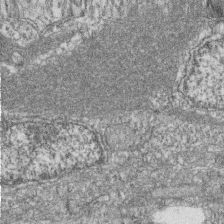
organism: Zebrafish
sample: Cilia; retinal pigment epithelium